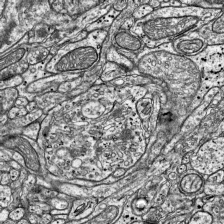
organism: Mouse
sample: Visual Cortex